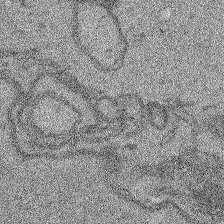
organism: Human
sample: HeLa cells